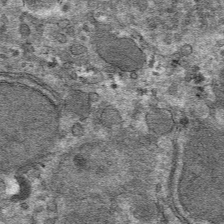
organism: Mouse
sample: Mouse hepatocytes